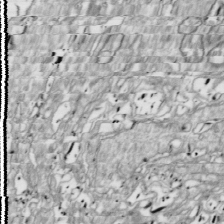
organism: Drosophila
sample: Cell division; meiosis; drosophila spermatocytes